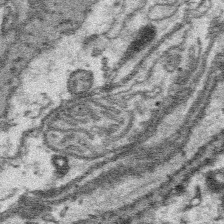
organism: Platynereis dumerilii